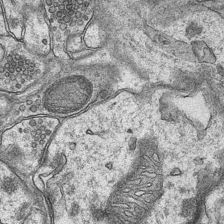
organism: Mouse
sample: CA1 Hippocampus